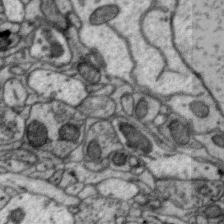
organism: Zebra finch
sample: Brain